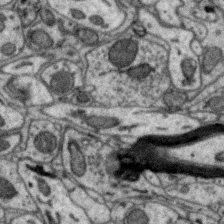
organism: Zebra finch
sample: Brain